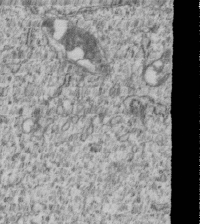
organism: Human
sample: MDA-MB-231 cells